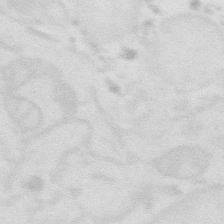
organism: Human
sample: HeLa cells